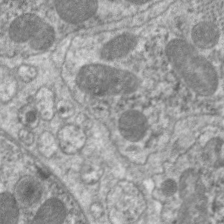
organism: C. elegans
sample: Pharynx